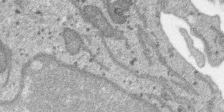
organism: Human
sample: Lung epithelial cells infected with SARS-CoV-2